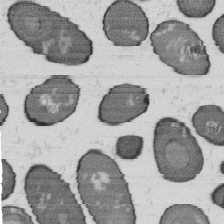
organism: B. subtilis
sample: Bacterial spore